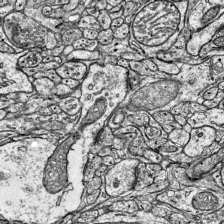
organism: Mouse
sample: Visual Cortex